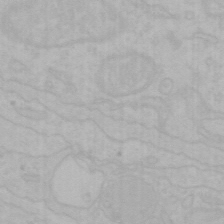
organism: Mouse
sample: Choroid plexus